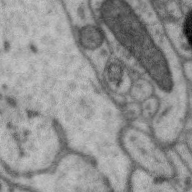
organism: Zebra finch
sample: Brain